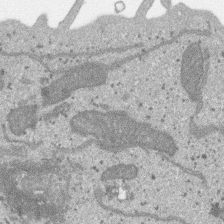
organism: Human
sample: Lung epithelial cells infected with SARS-CoV-2